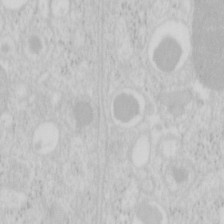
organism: Mouse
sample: Pancreas